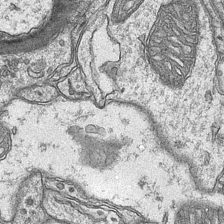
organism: Mouse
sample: CA1 Hippocampus